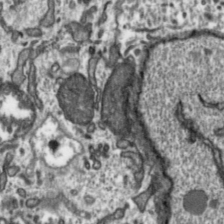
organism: Toxoplasma gondii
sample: Parasites in a vacuole inside a host cell